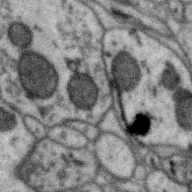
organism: Zebra finch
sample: Brain